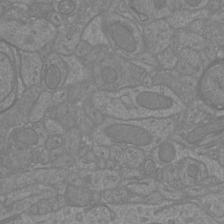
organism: Mouse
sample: Cortical neurons